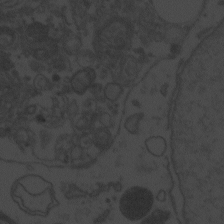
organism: Zebrafish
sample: Macrophage infected with Toxoplasma gondii